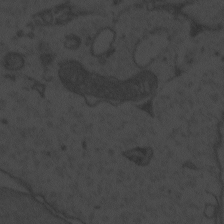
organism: Zebrafish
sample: Macrophage infected with Toxoplasma gondii